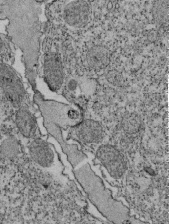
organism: Tetrahymena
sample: Cilia in tetrahymena